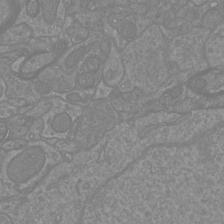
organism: Mouse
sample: Cortical neurons